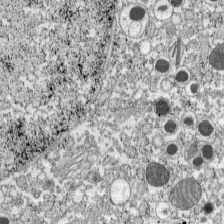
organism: C57BL Mouse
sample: Pancreatic islet